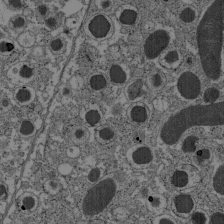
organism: C57BL Mouse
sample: Pancreatic islet